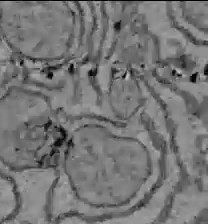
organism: C57BL Mouse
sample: Liver